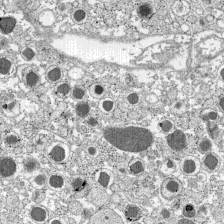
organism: C57BL Mouse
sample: Pancreatic islet